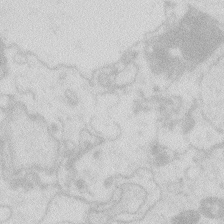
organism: Zebrafish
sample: Macrophage